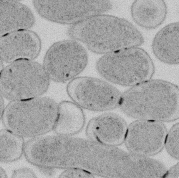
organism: E. coli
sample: Bacterial nucleoid